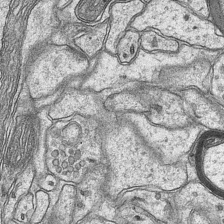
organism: Mouse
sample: CA1 Hippocampus